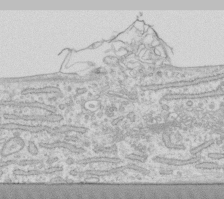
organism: Human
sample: Fibroblast cells